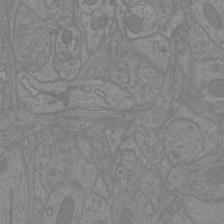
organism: Mouse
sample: Cortical neurons